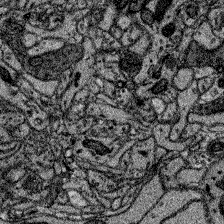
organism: Zebrafish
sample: Larval olfactory bulb